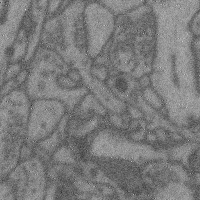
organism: Mouse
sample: Cerebral cortex